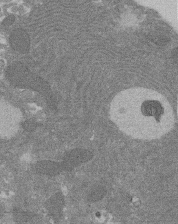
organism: Rat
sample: Salivary granule